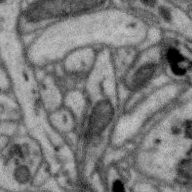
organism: Zebra finch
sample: Brain